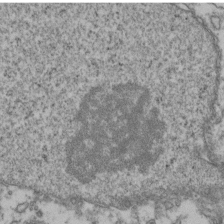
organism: Human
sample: Activated Jurkat CD4+ T cells